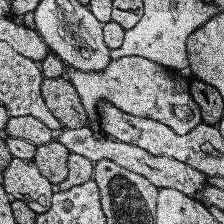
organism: Human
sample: Temporal Lobe